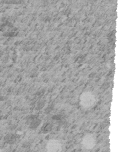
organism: C. elegans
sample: C. elegans embryo early stage